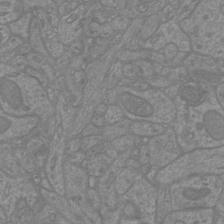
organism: Mouse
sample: Cortical neurons